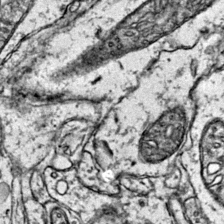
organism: Mouse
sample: Primary visual cortex